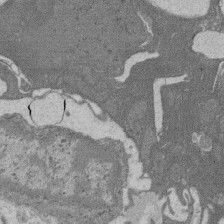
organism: Rat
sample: Salivary granule